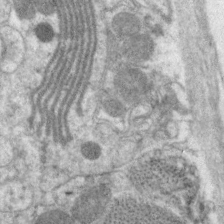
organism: C. elegans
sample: Pharynx